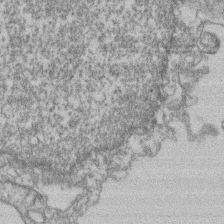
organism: Mouse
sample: T cell stromal cell synapse